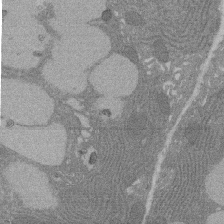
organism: Rat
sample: Salivary granule